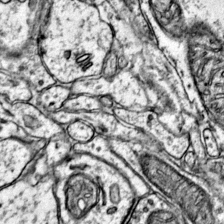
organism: Mouse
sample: Primary visual cortex